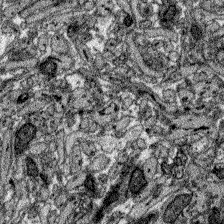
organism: Zebrafish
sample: Larval olfactory bulb